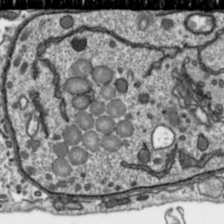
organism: Toxoplasma gondii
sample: Parasites in a vacuole inside a host cell